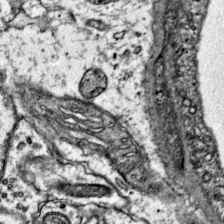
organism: Mouse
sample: Primary visual cortex